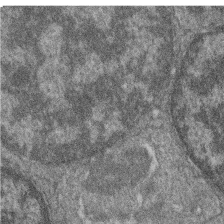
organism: Zebrafish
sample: Cilia; retinal pigment epithelium